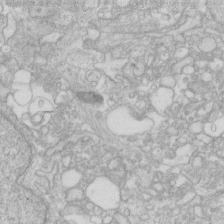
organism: Human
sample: Fibroblast cells